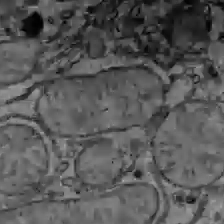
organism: C57BL Mouse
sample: Liver